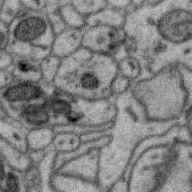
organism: Zebra finch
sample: Brain